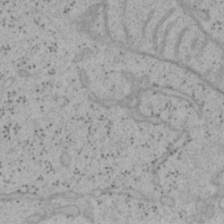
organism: Human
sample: HeLa cells